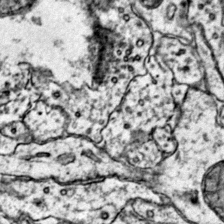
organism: Mouse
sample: Primary visual cortex